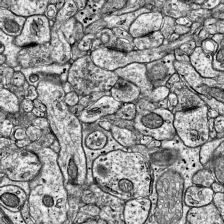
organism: Mouse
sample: Visual Cortex